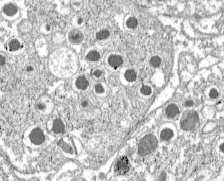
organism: C57BL Mouse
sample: Pancreatic islet